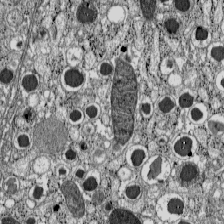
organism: C57BL Mouse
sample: Pancreatic islet